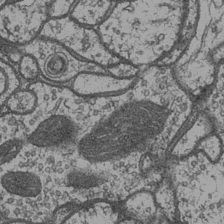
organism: Drosophila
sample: Optic medulla